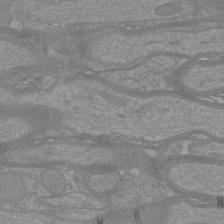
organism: Mouse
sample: Cortical neurons